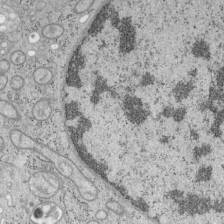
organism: Mouse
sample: OT-I killer T cells with ID8 ovarian cancer cells